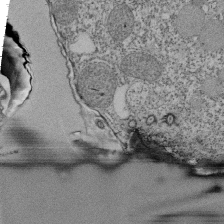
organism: Tetrahymena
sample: Cilia in tetrahymena